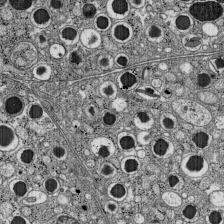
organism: C57BL Mouse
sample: Pancreatic islet